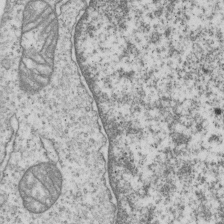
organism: Human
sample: MDA-MB-231 cells